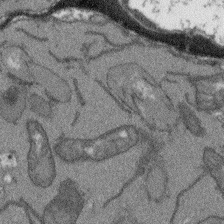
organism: Arabidopsis thaliana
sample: Root tip